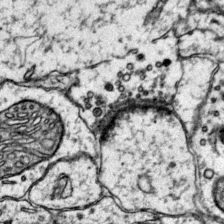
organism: Mouse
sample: Primary visual cortex